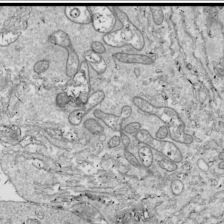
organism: Drosophila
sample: Cell division; meiosis; drosophila spermatocytes